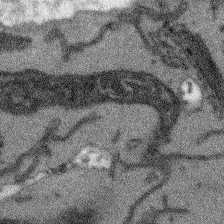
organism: Arabidopsis thaliana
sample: Root tip